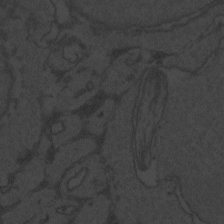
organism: Zebrafish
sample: Macrophage infected with Toxoplasma gondii